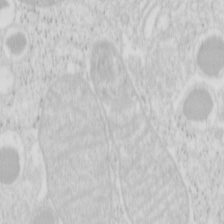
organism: Mouse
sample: Pancreas